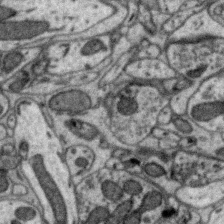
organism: Zebra finch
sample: Brain